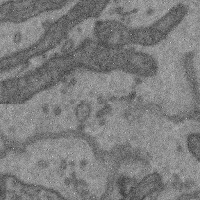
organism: Mouse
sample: Cerebral cortex